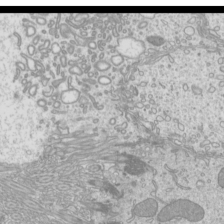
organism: Mouse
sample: Cilia; mouse epididymis